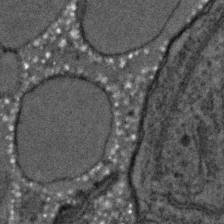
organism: C. elegans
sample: C. elegans embryo